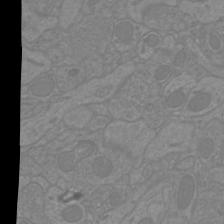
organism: Mouse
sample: Cortical neurons